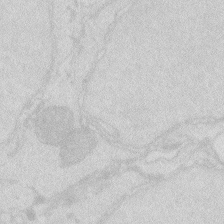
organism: Zebrafish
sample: Macrophage